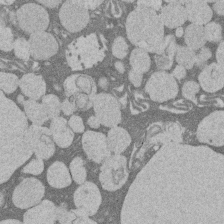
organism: Rat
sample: Salivary granule